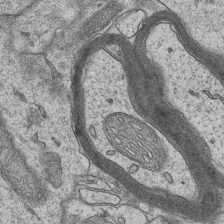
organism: Mouse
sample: CA1 Hippocampus